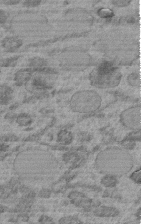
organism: C. elegans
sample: C. elegans embryo early stage